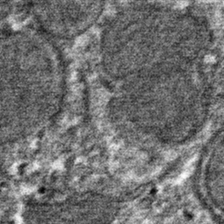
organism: Mouse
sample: Mouse hepatocytes